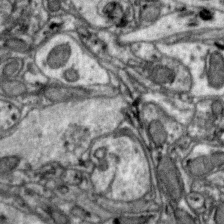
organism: Zebra finch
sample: Brain